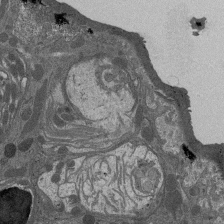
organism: Drosophila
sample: Antenna